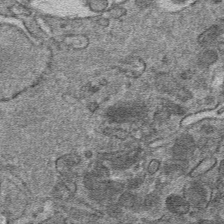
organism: Mouse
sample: Mouse hepatocytes